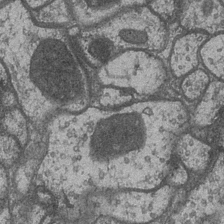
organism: Drosophila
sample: Optic medulla